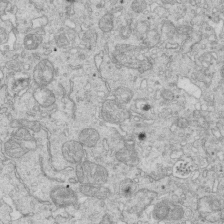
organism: Mouse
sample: Multiciliated cells